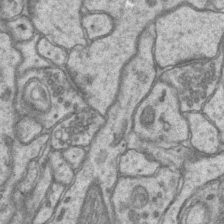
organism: Mouse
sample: CA1 Hippocampus